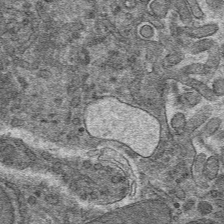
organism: Mouse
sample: Mouse hepatocytes